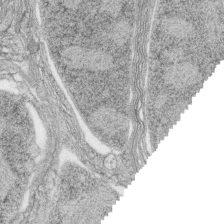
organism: Zebrafish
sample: synaptic ribbons in rod cells and cone cells